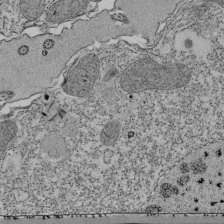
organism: Tetrahymena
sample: Cilia in tetrahymena